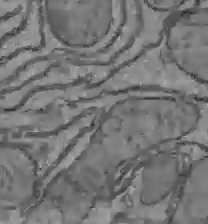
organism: C57BL Mouse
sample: Liver